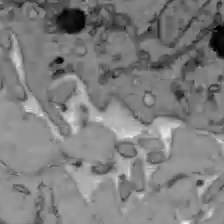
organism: C57BL Mouse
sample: Liver